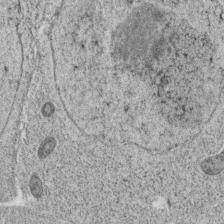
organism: C. elegans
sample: C. elegans oocyte; sperm cells